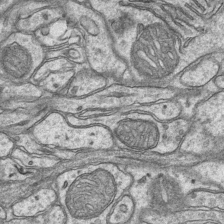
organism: Mouse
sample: CA1 Hippocampus